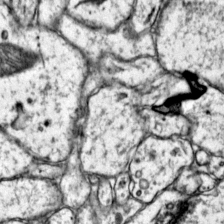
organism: Mouse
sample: Primary visual cortex